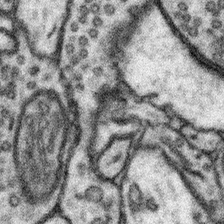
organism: Mouse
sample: Somatosensory cortex neuropil